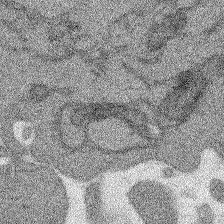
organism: Human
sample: HeLa cells